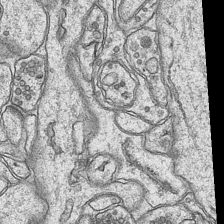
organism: Mouse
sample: CA1 Hippocampus